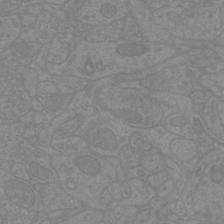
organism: Mouse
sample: Cortical neurons